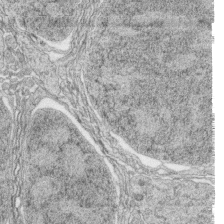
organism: Zebrafish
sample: synaptic ribbons in rod cells and cone cells